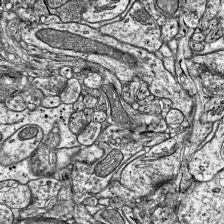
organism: Mouse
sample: Visual Cortex